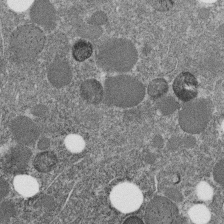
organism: C. elegans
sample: C. elegans embryo early stage